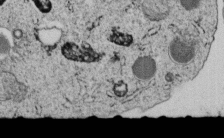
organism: C. elegans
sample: C. elegans embryo early stage